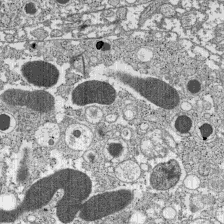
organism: C57BL Mouse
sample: Pancreatic islet